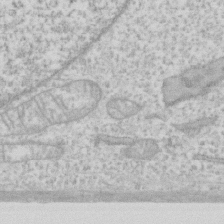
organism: Human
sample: Fibroblast cells